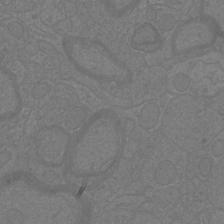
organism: Mouse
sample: Cortical neurons